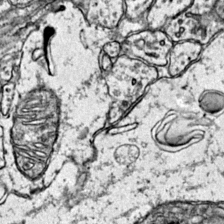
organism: Mouse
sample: Primary visual cortex